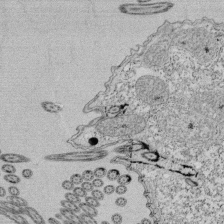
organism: Tetrahymena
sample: Cilia in tetrahymena